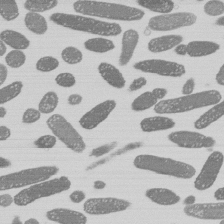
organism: E. coli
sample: Bacterial nucleoid